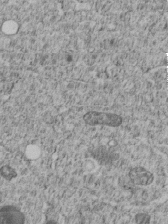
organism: C. elegans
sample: C. elegans embryo early stage